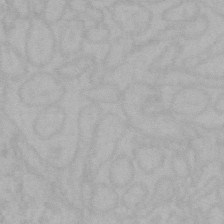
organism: Mouse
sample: Choroid plexus